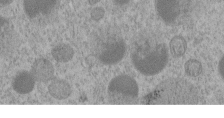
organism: C. elegans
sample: C. elegans embryo early stage